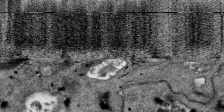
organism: Human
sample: Lung epithelial cells, uninfected (mock) control